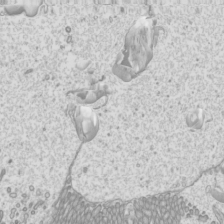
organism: Mouse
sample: Cilia; mouse epididymis